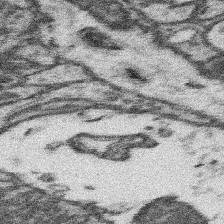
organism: Mouse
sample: Somatosensory cortex neuropil